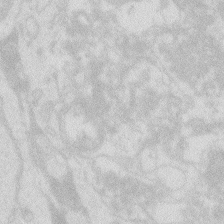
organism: Zebrafish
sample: Macrophage